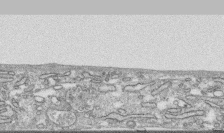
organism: Human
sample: CRL-1474